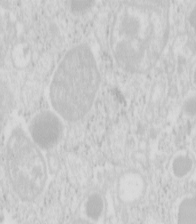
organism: Mouse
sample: Pancreas